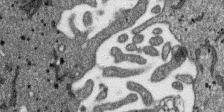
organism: Human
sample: Lung epithelial cells infected with SARS-CoV-2